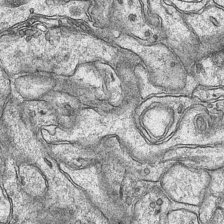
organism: Mouse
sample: CA1 Hippocampus